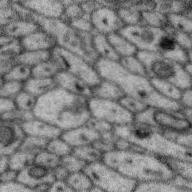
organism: Zebra finch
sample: Brain